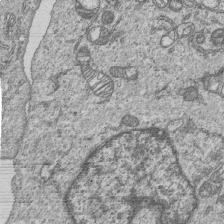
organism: Human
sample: MDA-MB-231 cells